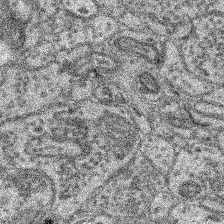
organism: Mouse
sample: Retina